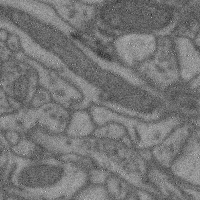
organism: Mouse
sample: Cerebral cortex